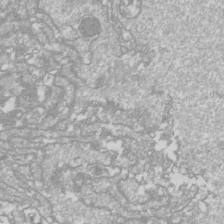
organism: Drosophila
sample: Cell division; meiosis; drosophila spermatocytes